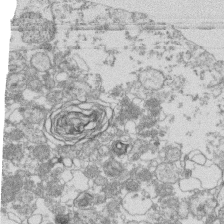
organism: Human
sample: HeLa cell HIV synapse